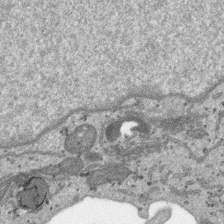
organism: Human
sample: Lung epithelial cells infected with SARS-CoV-2